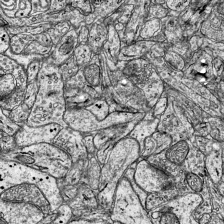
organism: Mouse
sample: Visual Cortex